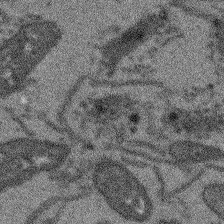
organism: Arabidopsis thaliana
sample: Root tip